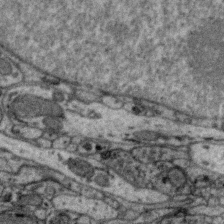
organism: Zebra finch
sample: Brain